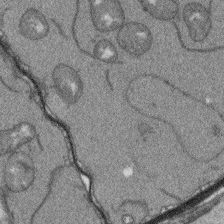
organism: Arabidopsis thaliana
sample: Root tip